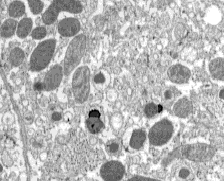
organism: C57BL Mouse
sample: Pancreatic islet